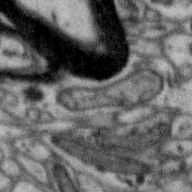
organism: Zebra finch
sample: Brain